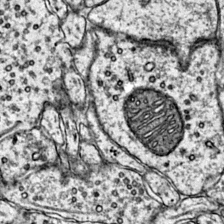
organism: Mouse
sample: Primary visual cortex